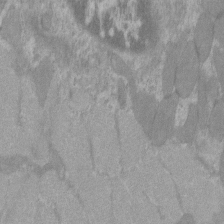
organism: C57BL Mouse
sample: Tibialis anterior muscle cell